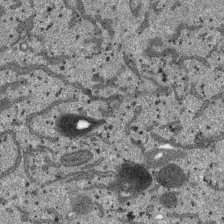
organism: Human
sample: Lung epithelial cells infected with SARS-CoV-2